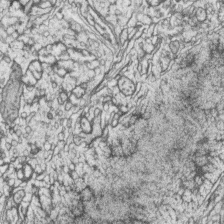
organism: Zebrafish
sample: synaptic ribbons in rod cells and cone cells